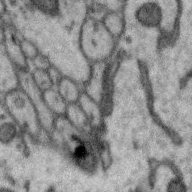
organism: Zebra finch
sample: Brain